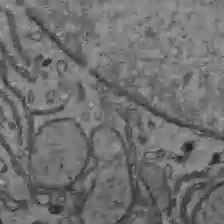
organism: C57BL Mouse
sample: Liver